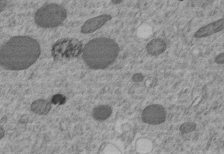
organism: C. elegans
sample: C. elegans embryo early stage